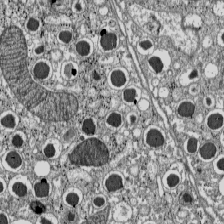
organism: C57BL Mouse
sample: Pancreatic islet